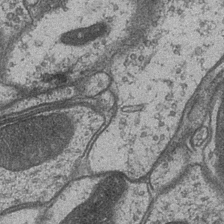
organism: Drosophila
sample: Optic medulla